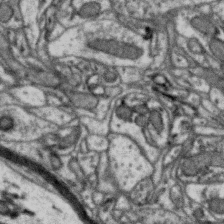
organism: Zebra finch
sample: Brain